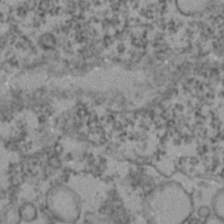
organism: Zebrafish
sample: Zebrafish embryo